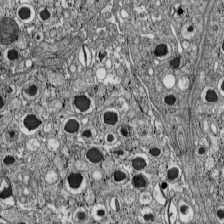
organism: C57BL Mouse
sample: Pancreatic islet